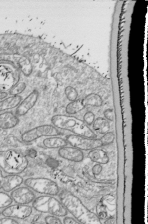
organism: Drosophila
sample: Cell division; meiosis; drosophila spermatocytes